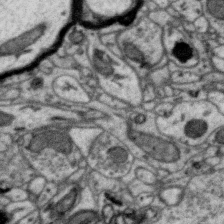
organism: Zebra finch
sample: Brain